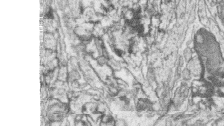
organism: Zebrafish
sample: synaptic ribbons in rod cells and cone cells